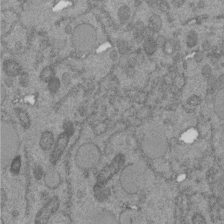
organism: C. elegans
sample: C. elegans embryo early stage